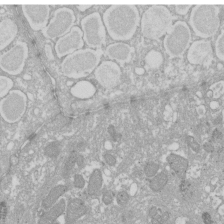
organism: Xenopus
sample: Cilia; centrioles in frog embryo cells